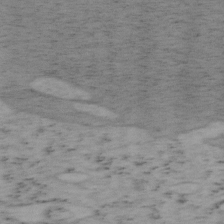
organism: Mouse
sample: OT-I killer T cells with ID8 ovarian cancer cells